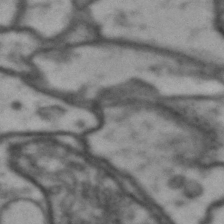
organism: Drosophila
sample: Brain